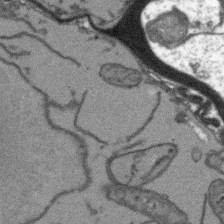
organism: Arabidopsis thaliana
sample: Root tip